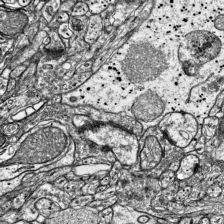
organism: Mouse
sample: Visual Cortex